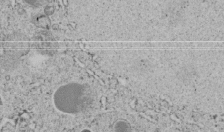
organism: C. elegans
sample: C. elegans embryo early stage